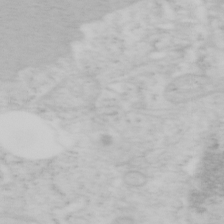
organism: Mouse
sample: OT-I killer T cells with ID8 ovarian cancer cells